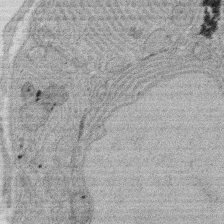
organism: Rat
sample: Salivary granule